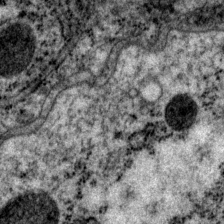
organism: P. pacificus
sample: Pharynx